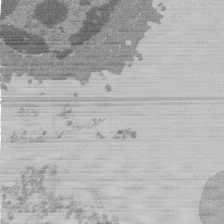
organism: Mouse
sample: Activated Pmel transgenic CD8+ T Cells